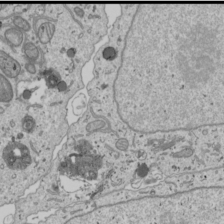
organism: Human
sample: Mitochondria in U2OS cells